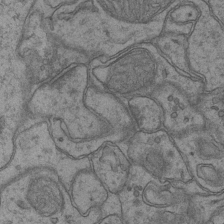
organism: Mouse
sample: CA1 Hippocampus